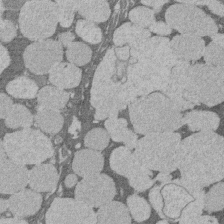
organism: Rat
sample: Salivary granule